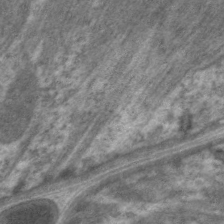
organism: C. elegans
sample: Pharynx